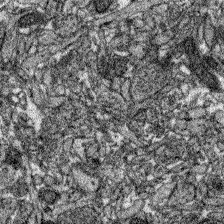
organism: Zebrafish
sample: Larval olfactory bulb